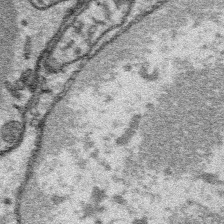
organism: Platynereis dumerilii